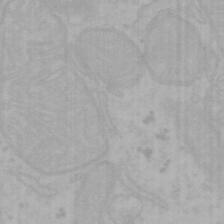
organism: Mouse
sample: Choroid plexus